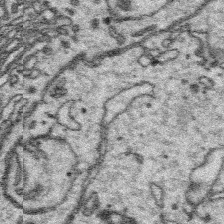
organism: Platynereis dumerilii